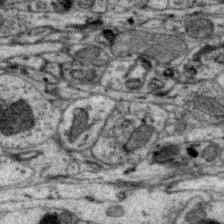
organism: Zebra finch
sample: Brain